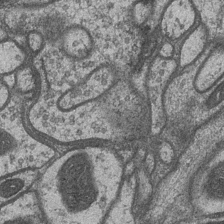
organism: Drosophila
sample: Optic medulla